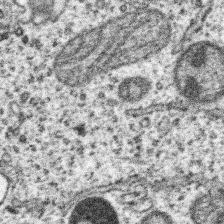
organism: Human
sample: HeLa cells